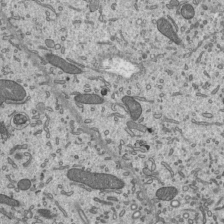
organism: Mouse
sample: Mouse epididymis efferent ductule cilia